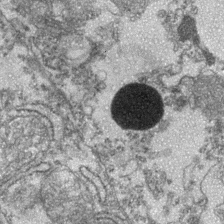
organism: Zebrafish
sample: Zebrafish embryo